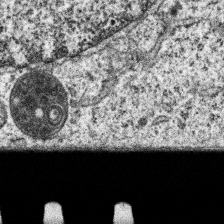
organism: Human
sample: HeLa cells